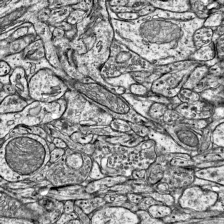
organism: Mouse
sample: Visual Cortex